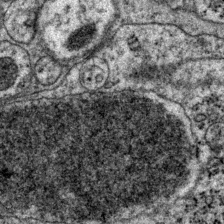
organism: P. pacificus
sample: Pharynx